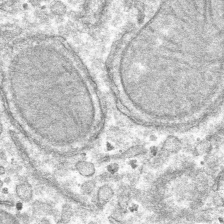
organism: Mouse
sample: Mouse hepatocytes